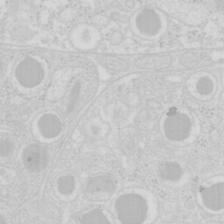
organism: Mouse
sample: Pancreas